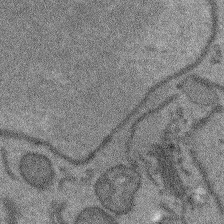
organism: Arabidopsis thaliana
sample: Root tip